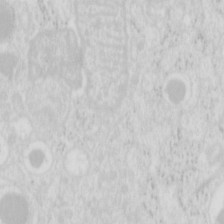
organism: Mouse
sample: Pancreas